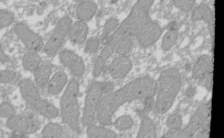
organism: Xenopus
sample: Cilia; centrioles in frog embryo cells